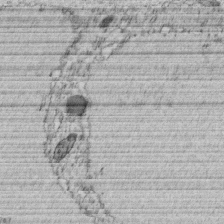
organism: C. elegans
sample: C. elegans embryo early stage